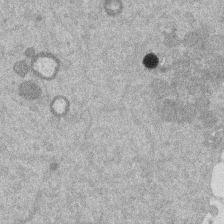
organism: Mouse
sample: Dividing mouse embryo 1 cell stage